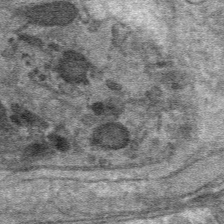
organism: Mouse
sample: Mouse hepatocytes